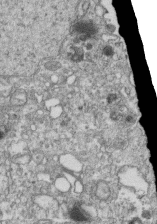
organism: Human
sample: HeLa cell HIV synapse